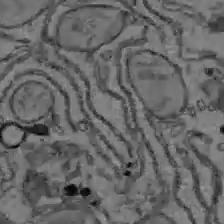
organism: C57BL Mouse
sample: Liver